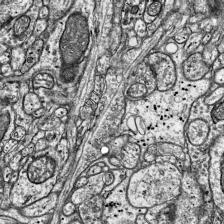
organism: Mouse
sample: Visual Cortex